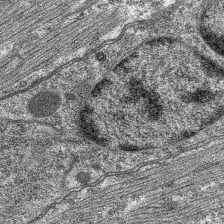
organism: C. elegans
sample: Pharynx